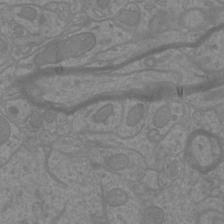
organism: Mouse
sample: Cortical neurons